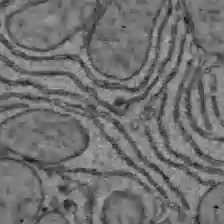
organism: C57BL Mouse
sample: Liver